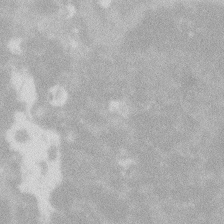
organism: Zebrafish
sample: Macrophage